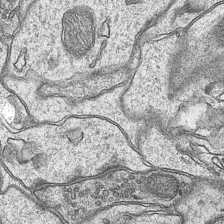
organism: Mouse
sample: CA1 Hippocampus